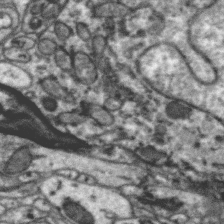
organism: Zebra finch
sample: Brain